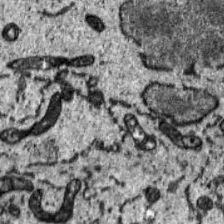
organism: Human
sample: HeLa cells